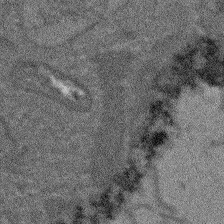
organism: Arabidopsis thaliana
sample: Root tip